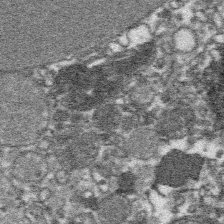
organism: Platynereis dumerilii